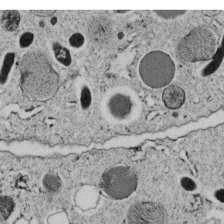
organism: C. elegans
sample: C. elegans embryo early stage